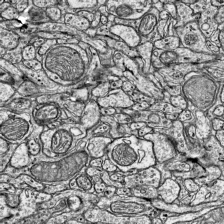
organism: Mouse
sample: Visual Cortex